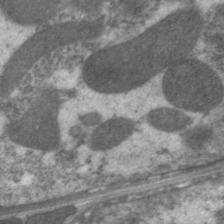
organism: C. elegans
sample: Pharynx